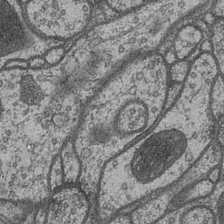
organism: Drosophila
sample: Optic medulla